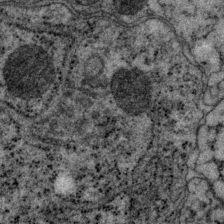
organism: P. pacificus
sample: Pharynx